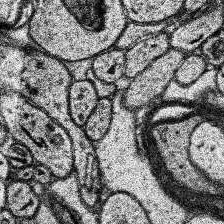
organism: Human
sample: Temporal Lobe